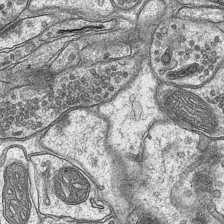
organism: Mouse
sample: CA1 Hippocampus